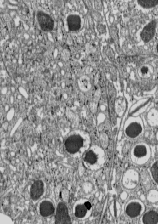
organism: C57BL Mouse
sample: Pancreatic islet